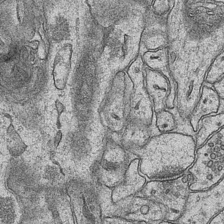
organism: Mouse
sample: CA1 Hippocampus